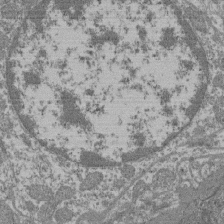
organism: Mouse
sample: Glomerulus